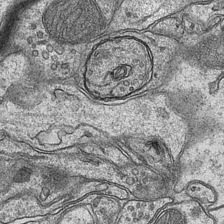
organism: Mouse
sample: CA1 Hippocampus